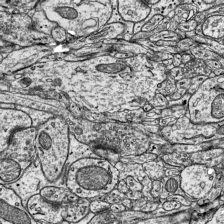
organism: Mouse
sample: Visual Cortex